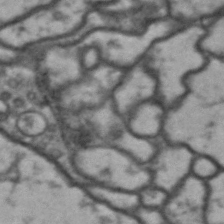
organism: Drosophila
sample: Brain